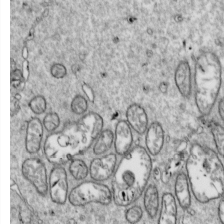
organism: Drosophila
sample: Cell division; meiosis; drosophila spermatocytes